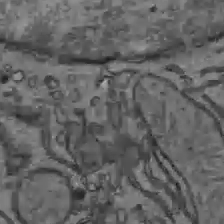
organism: C57BL Mouse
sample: Liver